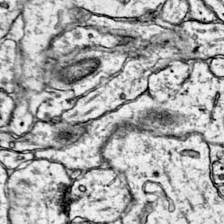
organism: Mouse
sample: Primary visual cortex